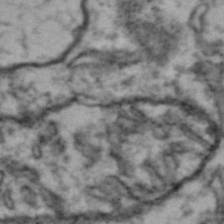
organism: Drosophila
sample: Brain